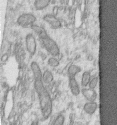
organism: Human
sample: Centriole in RPE cells